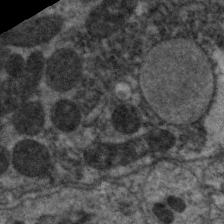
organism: C. elegans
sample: Pharynx